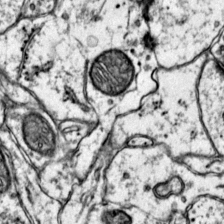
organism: Mouse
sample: Primary visual cortex